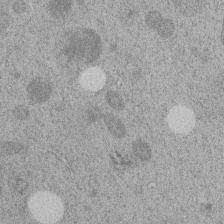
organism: C. elegans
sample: C. elegans embryo early stage